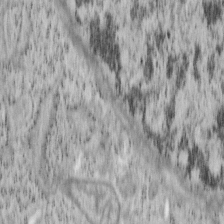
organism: Human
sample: HeLa cells